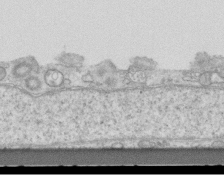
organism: Mouse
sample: Centriole in ependymal cells